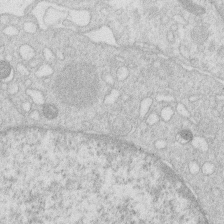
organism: Human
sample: Macrophage cells